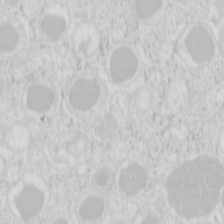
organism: Mouse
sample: Pancreas